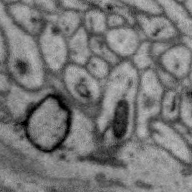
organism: Zebra finch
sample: Brain